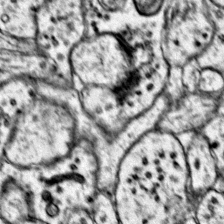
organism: Mouse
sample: Primary visual cortex